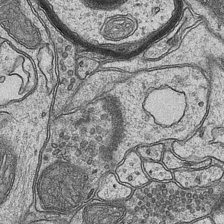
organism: Mouse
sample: CA1 Hippocampus